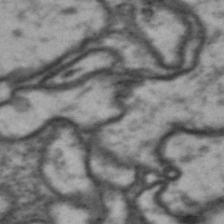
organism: Drosophila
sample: Brain